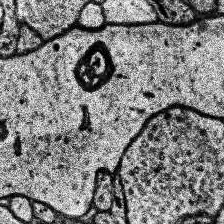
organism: Human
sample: Temporal Lobe